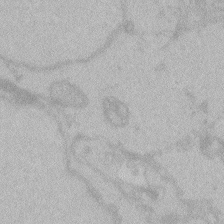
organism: Zebrafish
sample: Macrophage infected with Toxoplasma gondii